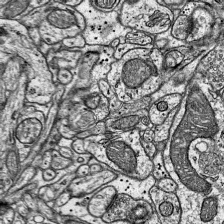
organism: Mouse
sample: Visual Cortex